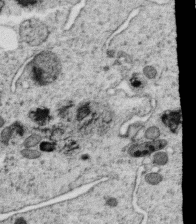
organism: C. elegans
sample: C. elegans oocyte; sperm cells